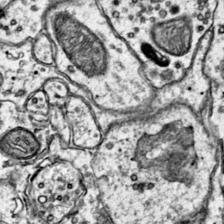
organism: Mouse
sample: Primary visual cortex